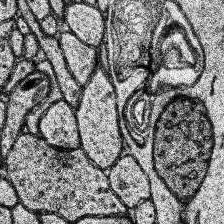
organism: Human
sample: Temporal Lobe